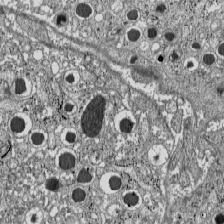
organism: C57BL Mouse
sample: Pancreatic islet